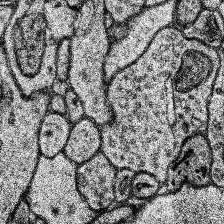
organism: Human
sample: Temporal Lobe